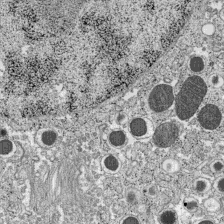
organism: C57BL Mouse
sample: Pancreatic islet